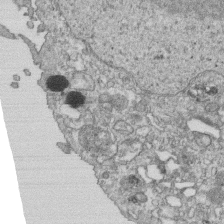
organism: Human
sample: HeLa cell HIV synapse